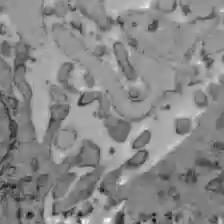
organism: C57BL Mouse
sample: Liver